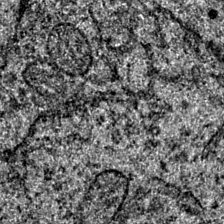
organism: Mouse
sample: Primary visual cortex